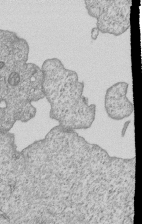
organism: Human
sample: MDA-MB-231 cells